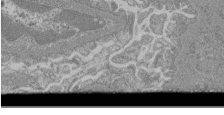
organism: Mouse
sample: Glomerulus